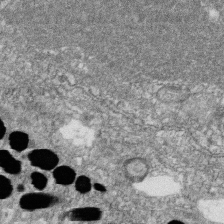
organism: Zebrafish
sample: Cilia; retinal pigment epithelium